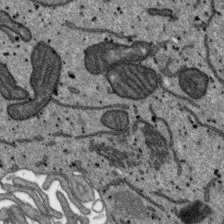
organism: Human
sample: Lung epithelial cells, uninfected (mock) control